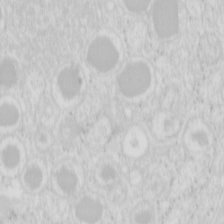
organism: Mouse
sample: Pancreas